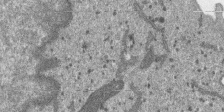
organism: Human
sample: Lung epithelial cells infected with SARS-CoV-2